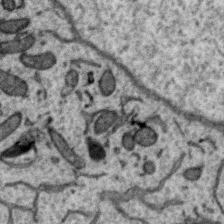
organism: Zebra finch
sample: Brain